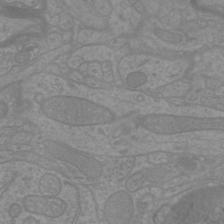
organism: Mouse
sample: Cortical neurons